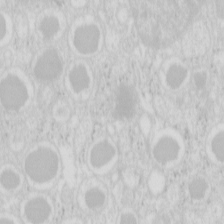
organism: Mouse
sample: Pancreas